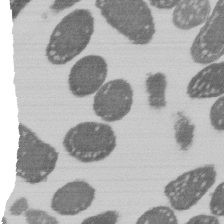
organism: E. coli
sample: Bacterial nucleoid